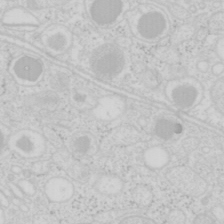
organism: Mouse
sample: Pancreas